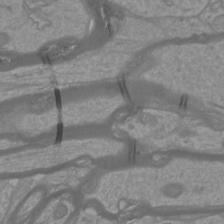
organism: Mouse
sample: Cortical neurons